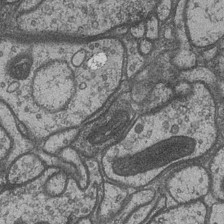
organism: Drosophila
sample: Optic medulla